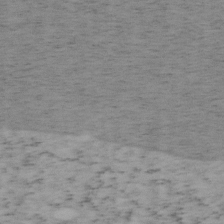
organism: Mouse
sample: OT-I killer T cells with ID8 ovarian cancer cells